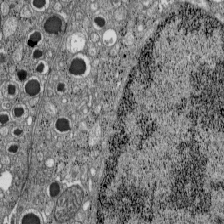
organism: C57BL Mouse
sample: Pancreatic islet